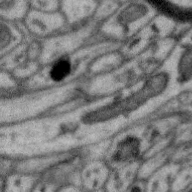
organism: Zebra finch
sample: Brain